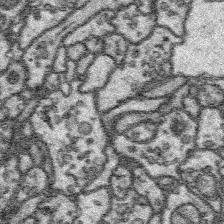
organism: Platynereis dumerilii